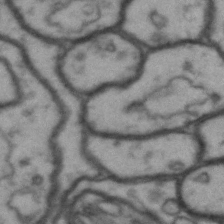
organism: Drosophila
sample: Brain